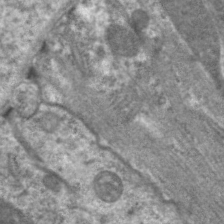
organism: C. elegans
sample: Pharynx